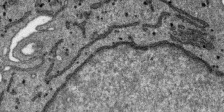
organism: Human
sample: Lung epithelial cells, uninfected (mock) control